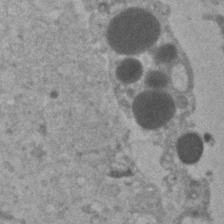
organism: Human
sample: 1205lu cells